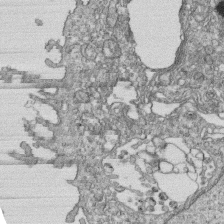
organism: Human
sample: HeLa cell HIV synapse